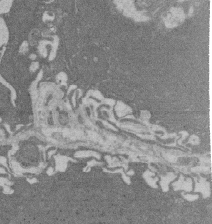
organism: Rat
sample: Salivary granule